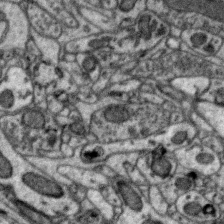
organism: Zebra finch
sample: Brain